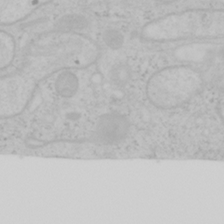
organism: Mouse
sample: OT-I killer T cells with ID8 ovarian cancer cells